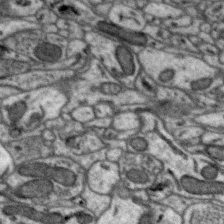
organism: Zebra finch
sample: Brain